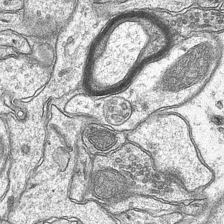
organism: Mouse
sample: CA1 Hippocampus